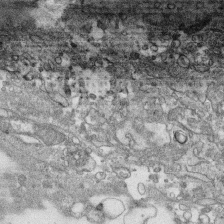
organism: Human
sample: CRL-1474